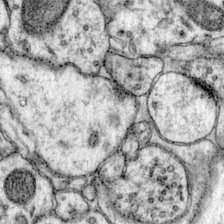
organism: Mouse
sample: Primary visual cortex